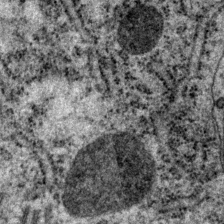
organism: P. pacificus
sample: Pharynx